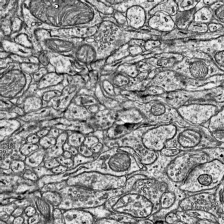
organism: Mouse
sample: Visual Cortex